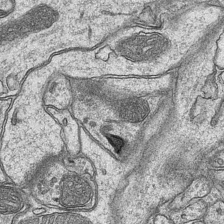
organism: Mouse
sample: CA1 Hippocampus